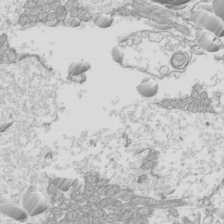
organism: Mouse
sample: Cilia; mouse epididymis